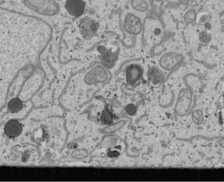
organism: Human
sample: Mitochondria in U2OS cells